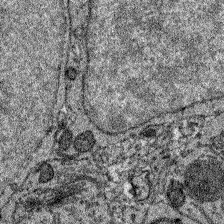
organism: Zebrafish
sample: Larval olfactory bulb